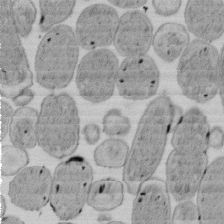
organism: E. coli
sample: Bacterial nucleoid